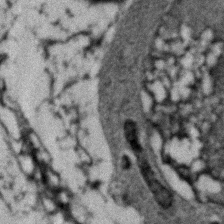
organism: Zebrafish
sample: Zebrafish embryo